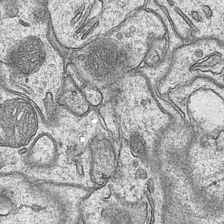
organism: Mouse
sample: CA1 Hippocampus